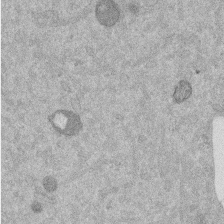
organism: Mouse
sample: Dividing mouse embryo 1 cell stage